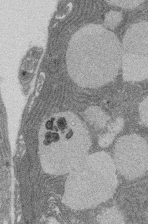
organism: Rat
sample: Salivary granule